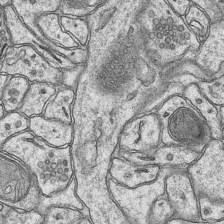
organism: Mouse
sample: CA1 Hippocampus